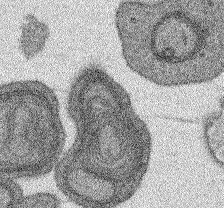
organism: Human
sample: HeLa cells